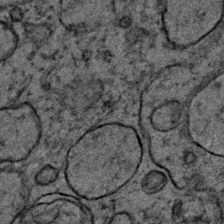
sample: Trachea